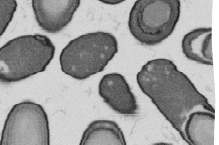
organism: B. subtilis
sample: Bacterial spore